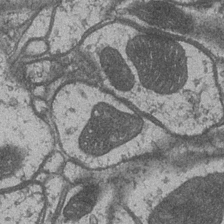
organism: Drosophila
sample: Optic medulla